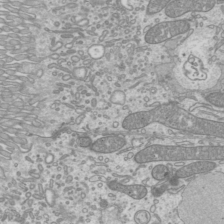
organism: Mouse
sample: Cilia; mouse epididymis